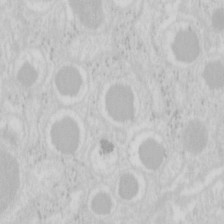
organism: Mouse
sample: Pancreas